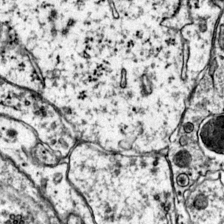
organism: Mouse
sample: Primary visual cortex